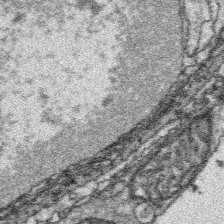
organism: Platynereis dumerilii